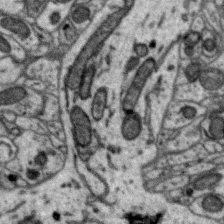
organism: Zebra finch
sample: Brain